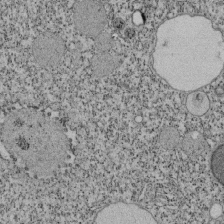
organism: Tetrahymena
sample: Cilia in tetrahymena